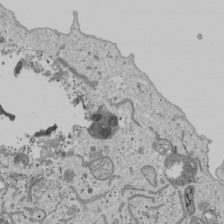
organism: Human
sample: Mitochondria in U2OS cells